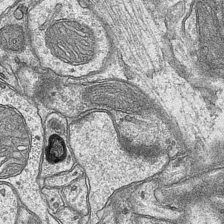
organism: Mouse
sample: CA1 Hippocampus